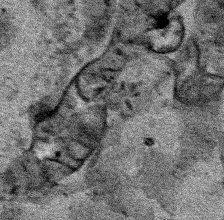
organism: Human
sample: Mitochondria in HCT116 cells